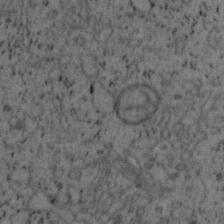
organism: Human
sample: HeLa cells